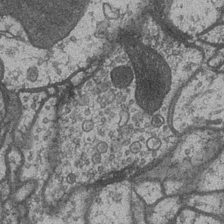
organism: Drosophila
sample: Optic medulla